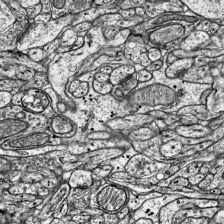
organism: Mouse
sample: Visual Cortex